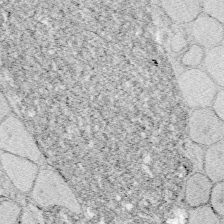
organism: Zebrafish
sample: Whole-Brain